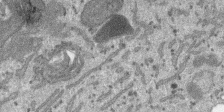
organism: Human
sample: Lung epithelial cells infected with SARS-CoV-2